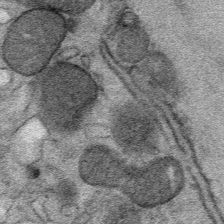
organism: Mouse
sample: Mouse Salivary gland